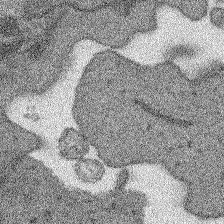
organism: Human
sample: HeLa cells